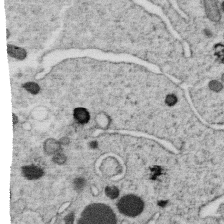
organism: C. elegans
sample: C. elegans oocyte; sperm cells